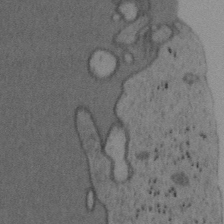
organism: Human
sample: HeLa cells